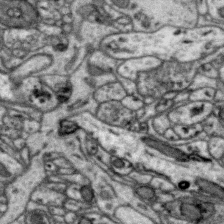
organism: Zebra finch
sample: Brain